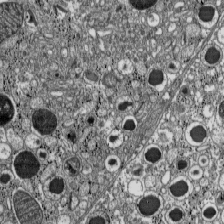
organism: C57BL Mouse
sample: Pancreatic islet